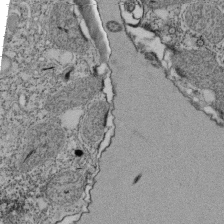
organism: Tetrahymena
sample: Cilia in tetrahymena